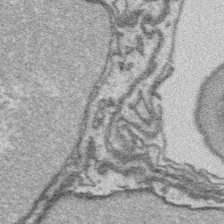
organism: Platynereis dumerilii